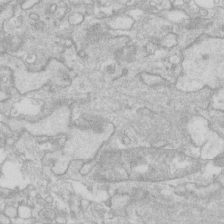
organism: Human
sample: Fibroblast cells